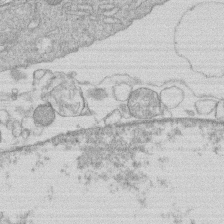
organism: Human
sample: Macrophage cells